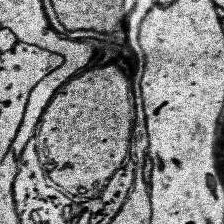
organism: Human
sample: Temporal Lobe